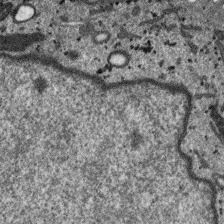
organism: Human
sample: Lung epithelial cells infected with SARS-CoV-2